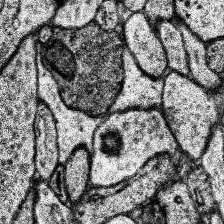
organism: Human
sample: Temporal Lobe